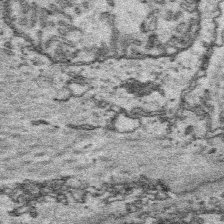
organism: Platynereis dumerilii